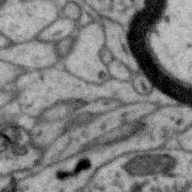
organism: Zebra finch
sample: Brain